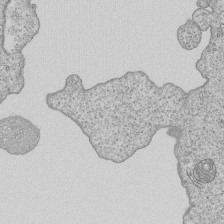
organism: Human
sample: MDA-MB-231 cells